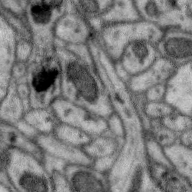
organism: Zebra finch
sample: Brain